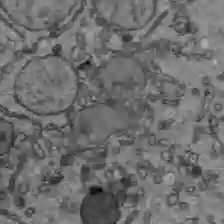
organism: C57BL Mouse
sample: Liver